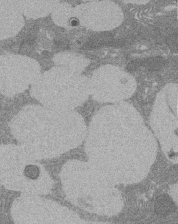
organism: Rat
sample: Salivary granule